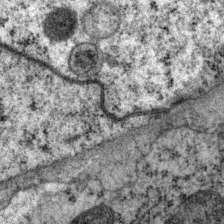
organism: P. pacificus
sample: Pharynx